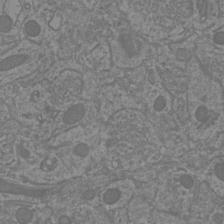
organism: Mouse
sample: Cortical neurons